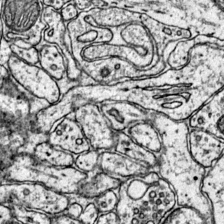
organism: Mouse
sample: Primary visual cortex